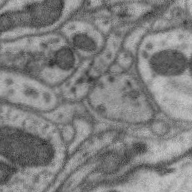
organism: Zebra finch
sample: Brain